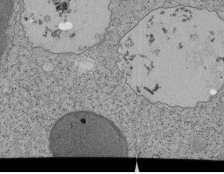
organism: Tetrahymena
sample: Cilia in tetrahymena